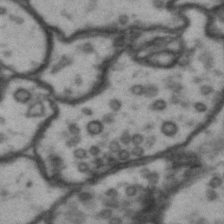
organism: Drosophila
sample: Brain